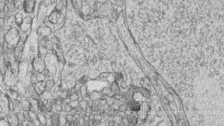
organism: Zebrafish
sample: synaptic ribbons in rod cells and cone cells